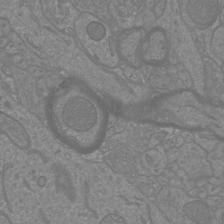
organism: Mouse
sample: Cortical neurons